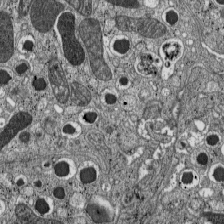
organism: C57BL Mouse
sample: Pancreatic islet